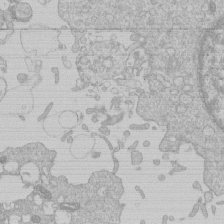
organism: Human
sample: Macrophage cells